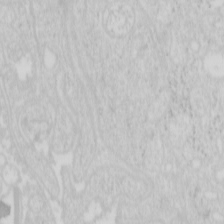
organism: Mouse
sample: Pancreas